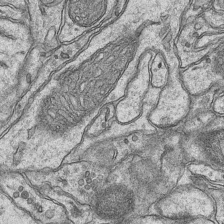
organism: Mouse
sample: CA1 Hippocampus